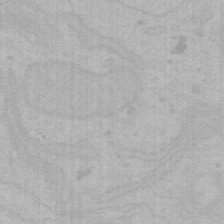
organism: Mouse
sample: Choroid plexus